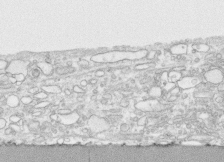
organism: Human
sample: CRL-1474